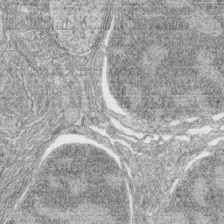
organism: Zebrafish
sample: synaptic ribbons in rod cells and cone cells